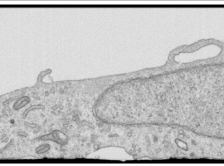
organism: Human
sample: Centriole in RPE cells